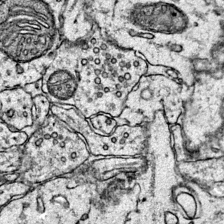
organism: Mouse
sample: Primary visual cortex